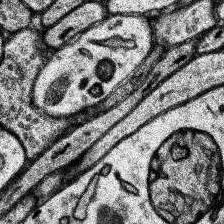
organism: Human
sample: Temporal Lobe